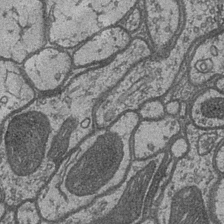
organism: Drosophila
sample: Optic medulla